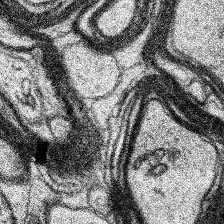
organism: Human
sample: Temporal Lobe